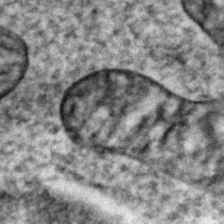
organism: Zebrafish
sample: Zebrafish embryo